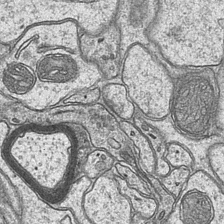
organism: Mouse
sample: CA1 Hippocampus